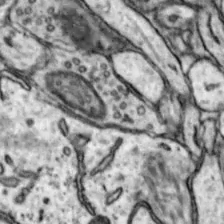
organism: Mouse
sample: Nucleus accumbens